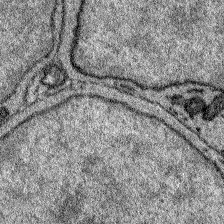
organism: Zebrafish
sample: Larval olfactory bulb